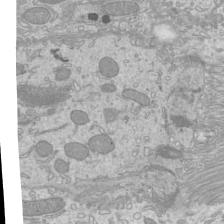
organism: Mouse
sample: Cilia; mouse epididymis